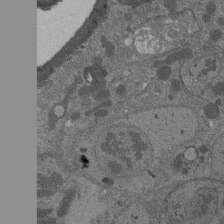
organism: Drosophila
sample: Antenna